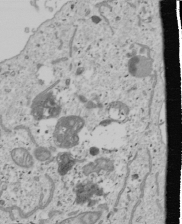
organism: Human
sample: Mitochondria in U2OS cells